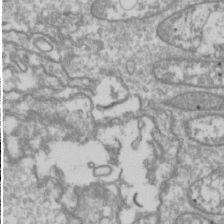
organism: Drosophila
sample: Cell division; meiosis; drosophila spermatocytes